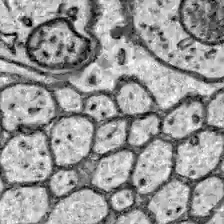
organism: Zebrafish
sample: Brain